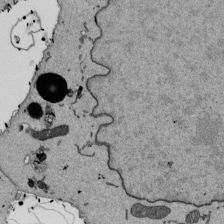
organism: Mouse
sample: ED-1 cell nuclei; centrioles